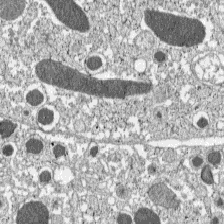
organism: C57BL Mouse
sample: Pancreatic islet